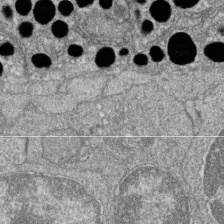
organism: Zebrafish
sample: Cilia; retinal pigment epithelium